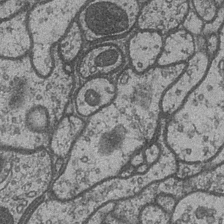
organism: Drosophila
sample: Optic medulla